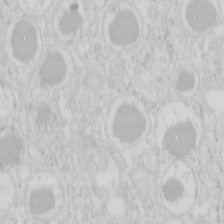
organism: Mouse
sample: Pancreas